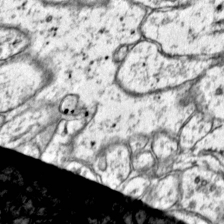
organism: Mouse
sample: Primary visual cortex